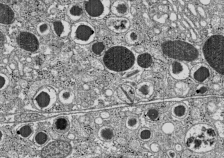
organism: C57BL Mouse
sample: Pancreatic islet